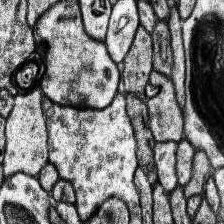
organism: Human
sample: Temporal Lobe